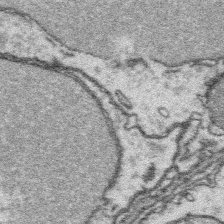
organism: Platynereis dumerilii